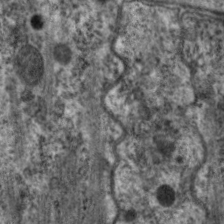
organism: C. elegans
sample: Pharynx